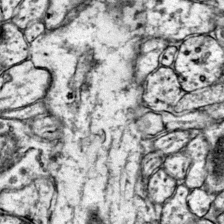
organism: Mouse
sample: Primary visual cortex